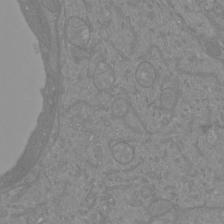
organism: Mouse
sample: Cortical neurons